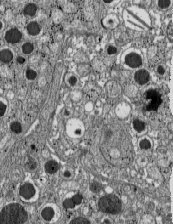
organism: C57BL Mouse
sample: Pancreatic islet